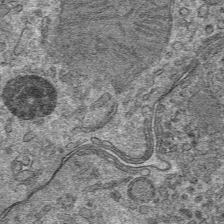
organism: Mouse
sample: Mouse hepatocytes